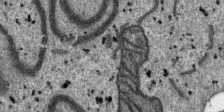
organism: Human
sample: Lung epithelial cells, uninfected (mock) control